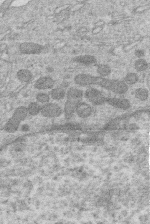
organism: Human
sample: Macrophage cells